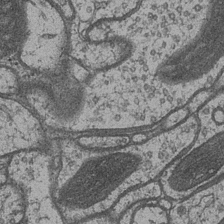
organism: Drosophila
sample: Optic medulla